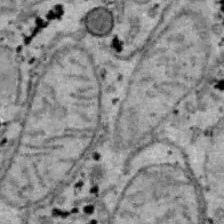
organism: Mouse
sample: Liver from an obese (ob/ob) mouse